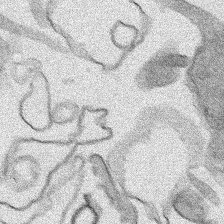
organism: Human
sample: Mitochondria in HCT116 cells